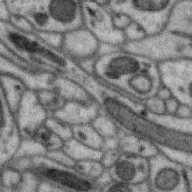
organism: Zebra finch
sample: Brain